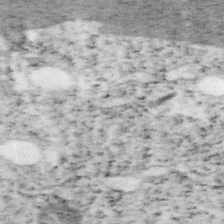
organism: Mouse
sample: OT-I killer T cells with ID8 ovarian cancer cells